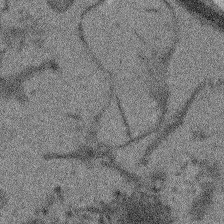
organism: Arabidopsis thaliana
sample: Root tip